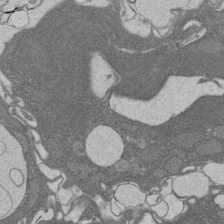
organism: Rat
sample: Salivary granule